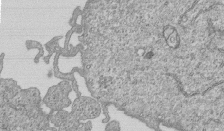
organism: Human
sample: MDA-MB-231 cells